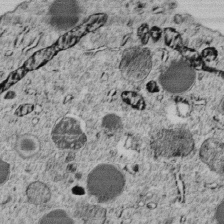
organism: C. elegans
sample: C. elegans embryo early stage